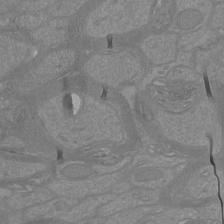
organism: Mouse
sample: Cortical neurons